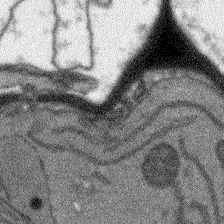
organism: Arabidopsis thaliana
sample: Root tip